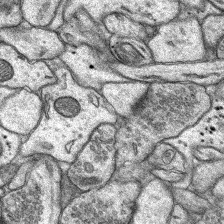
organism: Rat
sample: Hippocampus